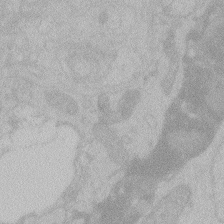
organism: Zebrafish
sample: Macrophage infected with Toxoplasma gondii